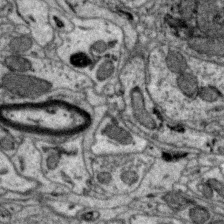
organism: Zebra finch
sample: Brain